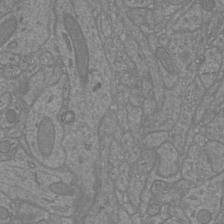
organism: Mouse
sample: Cortical neurons